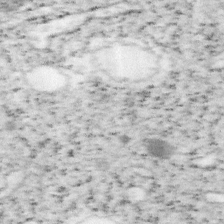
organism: Mouse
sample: OT-I killer T cells with ID8 ovarian cancer cells